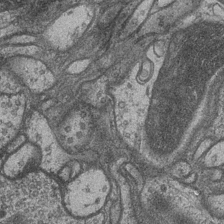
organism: Drosophila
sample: Optic medulla